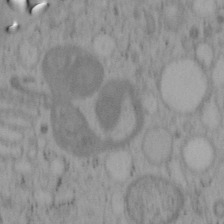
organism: Mouse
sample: OT-I killer T cells with ID8 ovarian cancer cells